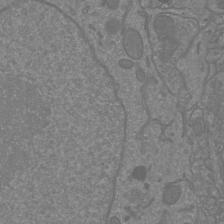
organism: Mouse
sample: Cortical neurons